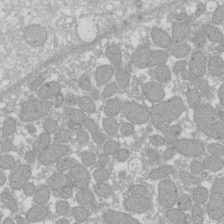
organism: Xenopus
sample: Cilia; centrioles in frog embryo cells